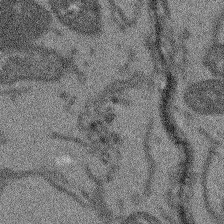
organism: Arabidopsis thaliana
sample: Root tip